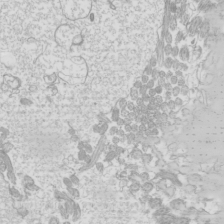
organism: Mouse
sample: Cilia; mouse epididymis